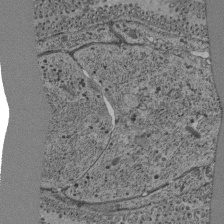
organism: C. elegans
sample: C. elegans pharynx